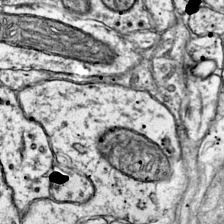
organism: Mouse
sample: Primary visual cortex